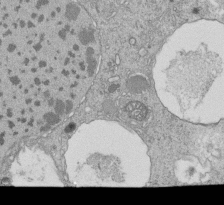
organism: Tetrahymena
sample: Cilia in tetrahymena